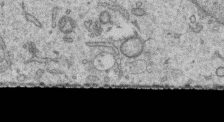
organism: Human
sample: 1205lu cells